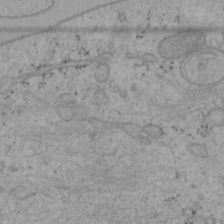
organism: Human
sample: HeLa cells